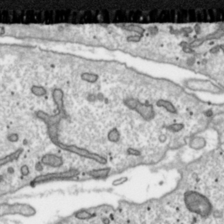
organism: Toxoplasma gondii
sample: Parasites in a vacuole inside a host cell